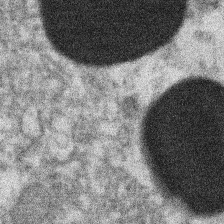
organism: Xenopus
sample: Cilia; centrioles in frog embryo cells